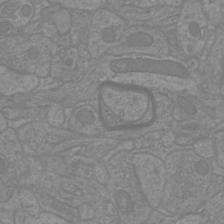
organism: Mouse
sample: Cortical neurons